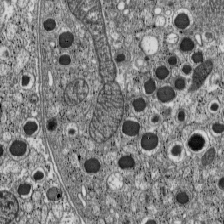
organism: C57BL Mouse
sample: Pancreatic islet